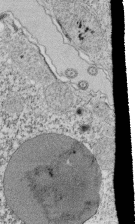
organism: Tetrahymena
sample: Cilia in tetrahymena